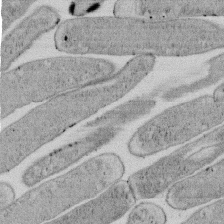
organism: E. coli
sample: Bacterial nucleoid